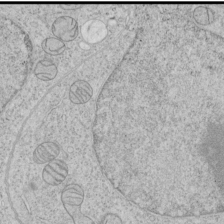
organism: Human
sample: Mitochondria in HCT116 cells